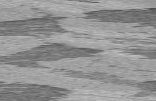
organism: C57BL Mouse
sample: Heart